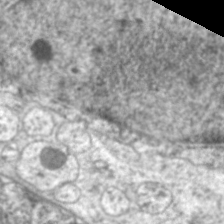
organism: C. elegans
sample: Pharynx